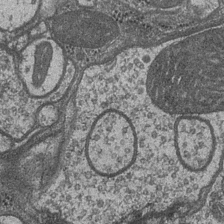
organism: Drosophila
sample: Optic medulla